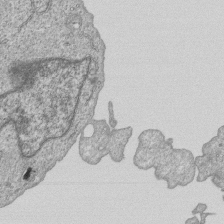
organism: Human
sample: MDA-MB-231 cells